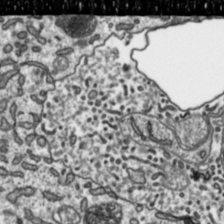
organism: Toxoplasma gondii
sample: Parasites in a vacuole inside a host cell